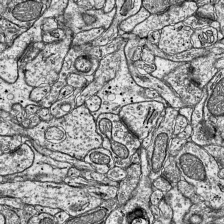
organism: Mouse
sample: Visual Cortex